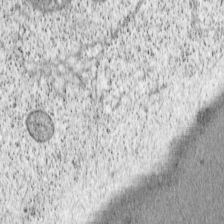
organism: African green monkey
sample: COS-7 cells